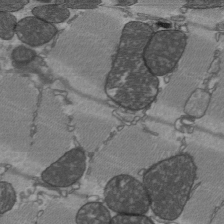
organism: C57BL Mouse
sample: Heart